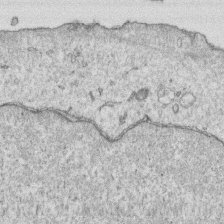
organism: Human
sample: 1205lu cells